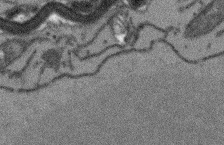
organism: Arabidopsis thaliana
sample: Root tip